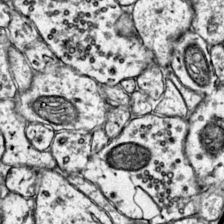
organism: Mouse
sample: Primary visual cortex